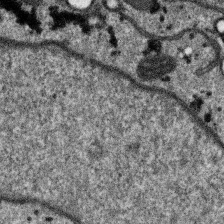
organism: Human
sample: Lung epithelial cells infected with SARS-CoV-2